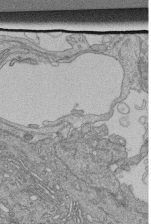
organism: Human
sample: Retinal organoid Rod and Cone cells